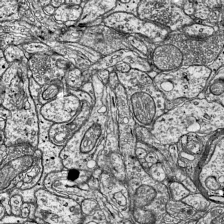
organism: Mouse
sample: Visual Cortex